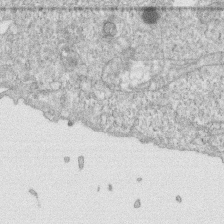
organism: Human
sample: HeLa cell HIV synapse